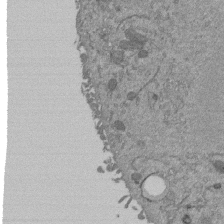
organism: Mouse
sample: ED-1 cell nuclei; centrioles